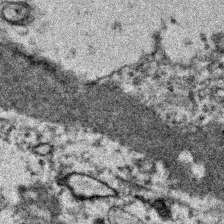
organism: Zebrafish